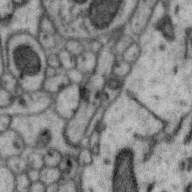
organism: Zebra finch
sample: Brain